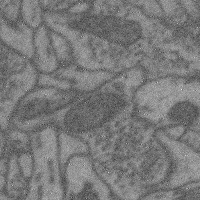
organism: Mouse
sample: Cerebral cortex